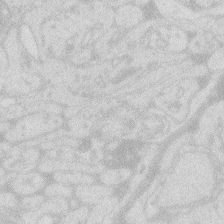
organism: Zebrafish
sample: Macrophage